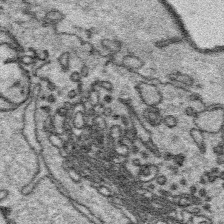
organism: Platynereis dumerilii